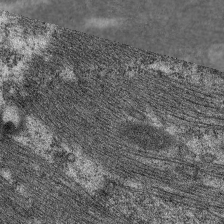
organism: C. elegans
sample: Pharynx